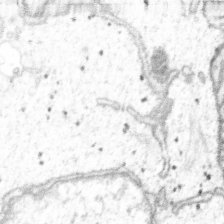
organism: Human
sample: HeLa cells